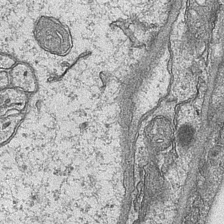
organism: Mouse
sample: CA1 Hippocampus